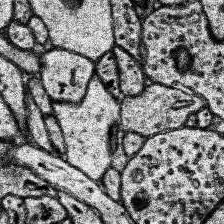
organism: Human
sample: Temporal Lobe